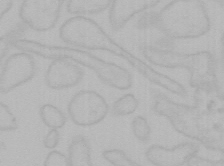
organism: Mouse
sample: Choroid plexus